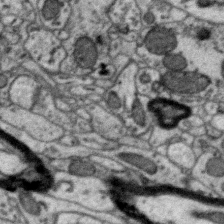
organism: Zebra finch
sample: Brain